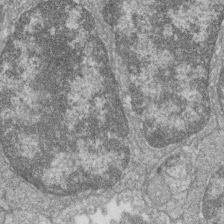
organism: Zebrafish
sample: Cilia; retinal pigment epithelium